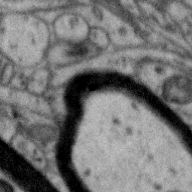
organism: Zebra finch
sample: Brain